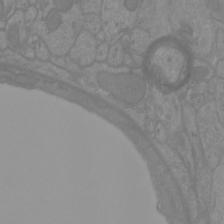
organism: Mouse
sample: Cortical neurons